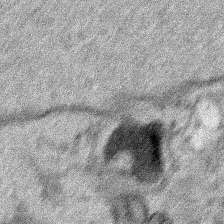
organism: Human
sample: Mitochondria in HCT116 cells